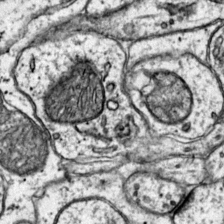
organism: Mouse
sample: Primary visual cortex